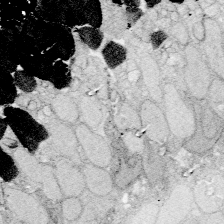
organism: Zebrafish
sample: Whole-Brain